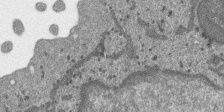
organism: Human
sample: Lung epithelial cells infected with SARS-CoV-2